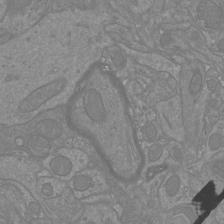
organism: Mouse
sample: Cortical neurons